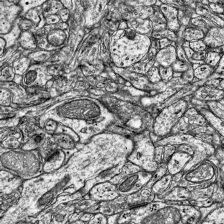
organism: Mouse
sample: Visual Cortex